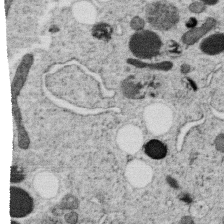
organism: C. elegans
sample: C. elegans oocyte; sperm cells